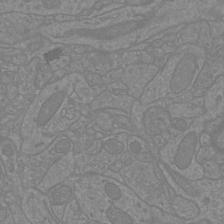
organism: Mouse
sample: Cortical neurons